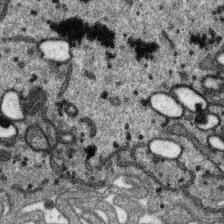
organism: Human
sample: Lung epithelial cells infected with SARS-CoV-2